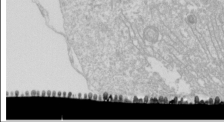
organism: Drosophila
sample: Cell division; meiosis; drosophila spermatocytes